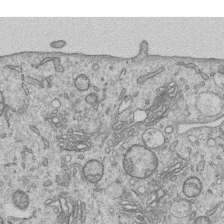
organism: Human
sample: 1205lu cells